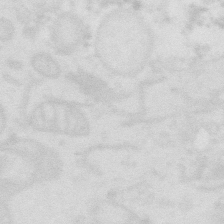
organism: Human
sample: HeLa cells